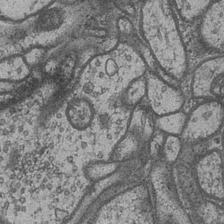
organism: Drosophila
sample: Optic medulla